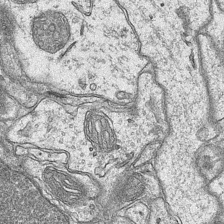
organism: Mouse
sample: CA1 Hippocampus